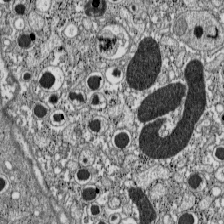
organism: C57BL Mouse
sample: Pancreatic islet